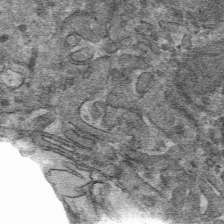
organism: Mouse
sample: Mouse hepatocytes